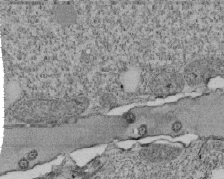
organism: Tetrahymena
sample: Cilia in tetrahymena